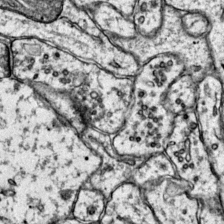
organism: Mouse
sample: Primary visual cortex